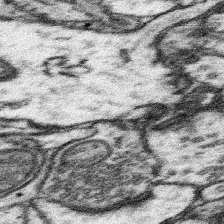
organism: Mouse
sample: Somatosensory cortex neuropil